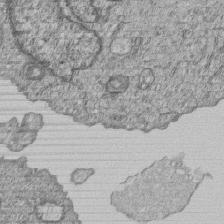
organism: Human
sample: MDA-MB-231 cells